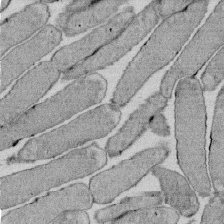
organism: E. coli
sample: Bacterial nucleoid